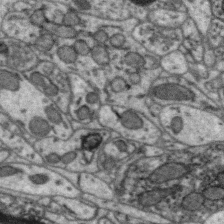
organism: Zebra finch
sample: Brain